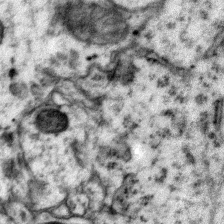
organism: Mouse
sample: Primary visual cortex